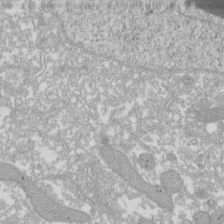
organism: Xenopus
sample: Cilia; centrioles in frog embryo cells